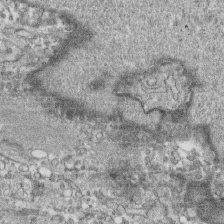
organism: Human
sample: CRL-1474